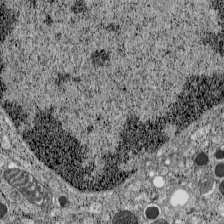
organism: C57BL Mouse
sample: Pancreatic islet